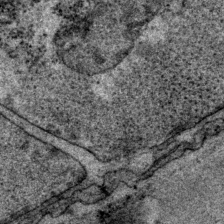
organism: P. pacificus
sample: Pharynx